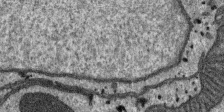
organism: Human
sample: Lung epithelial cells, uninfected (mock) control